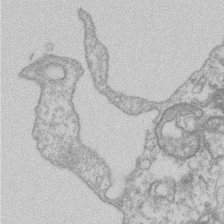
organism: Mouse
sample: T cell stromal cell synapse